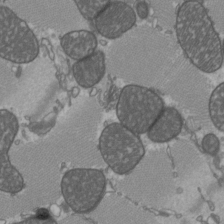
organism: C57BL Mouse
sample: Heart